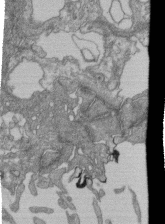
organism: Human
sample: Retinal organoid Rod and Cone cells